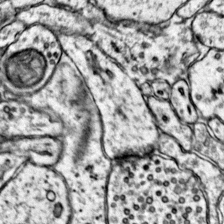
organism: Mouse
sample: Primary visual cortex